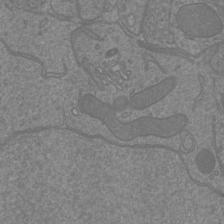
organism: Mouse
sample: Cortical neurons